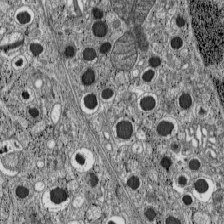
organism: C57BL Mouse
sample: Pancreatic islet